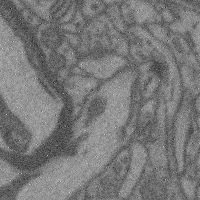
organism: Mouse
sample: Cerebral cortex